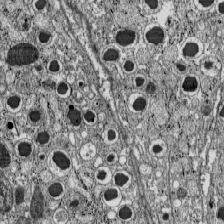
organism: C57BL Mouse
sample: Pancreatic islet